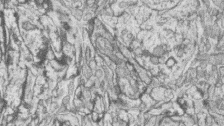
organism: Zebrafish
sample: synaptic ribbons in rod cells and cone cells